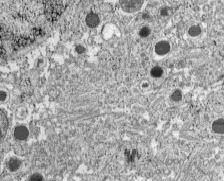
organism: C57BL Mouse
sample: Pancreatic islet